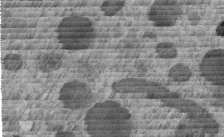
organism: C. elegans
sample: C. elegans embryo early stage